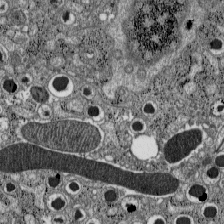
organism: C57BL Mouse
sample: Pancreatic islet